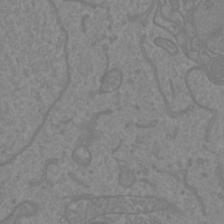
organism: Mouse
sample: Cortical neurons